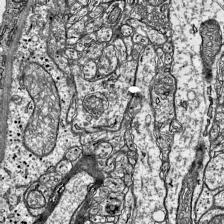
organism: Mouse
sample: Visual Cortex